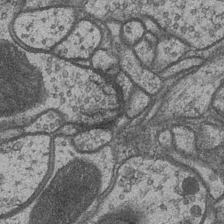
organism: Drosophila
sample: Optic medulla